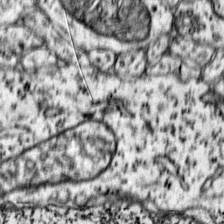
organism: Mouse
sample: Primary visual cortex